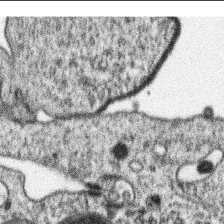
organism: Human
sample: HeLa cells